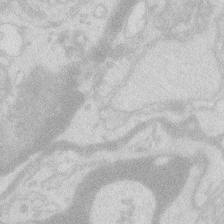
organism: Zebrafish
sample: Macrophage